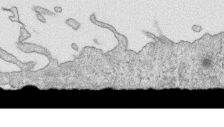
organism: Human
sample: HeLa cell HIV synapse